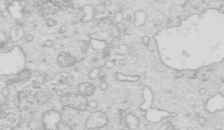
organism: Mouse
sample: Multiciliated cells